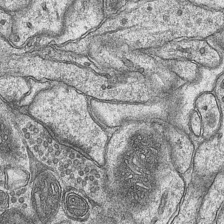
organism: Mouse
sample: CA1 Hippocampus